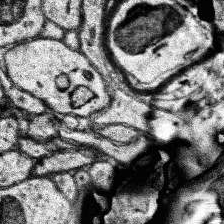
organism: Human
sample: Temporal Lobe